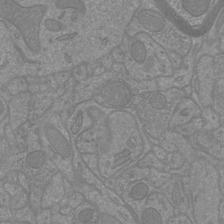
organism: Mouse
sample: Cortical neurons